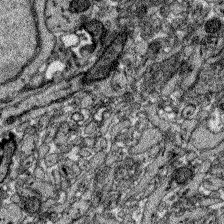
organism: Zebrafish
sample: Larval olfactory bulb